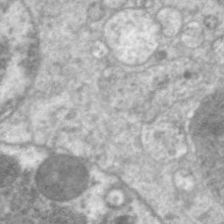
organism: C. elegans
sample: Pharynx